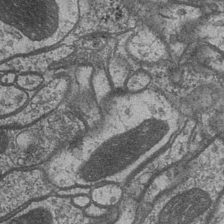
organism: Drosophila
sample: Optic medulla